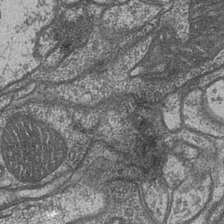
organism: Drosophila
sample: Optic medulla